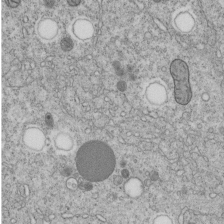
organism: C. elegans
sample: C. elegans embryo early stage